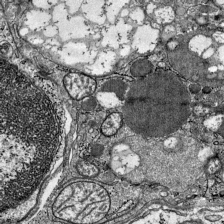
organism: Mouse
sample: Visual Cortex